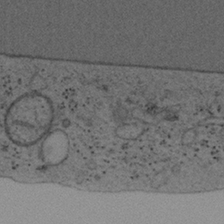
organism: Human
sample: HeLa cells